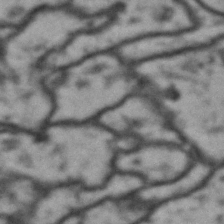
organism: Drosophila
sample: Brain